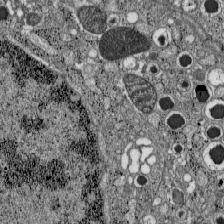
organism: C57BL Mouse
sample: Pancreatic islet